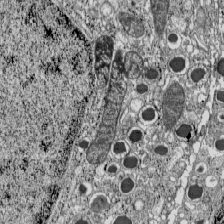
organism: C57BL Mouse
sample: Pancreatic islet